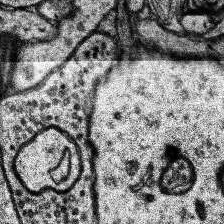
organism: Human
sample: Temporal Lobe